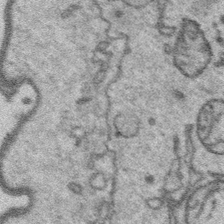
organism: Platynereis dumerilii